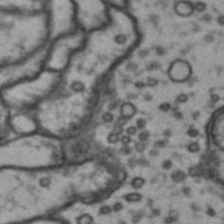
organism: Drosophila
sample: Brain